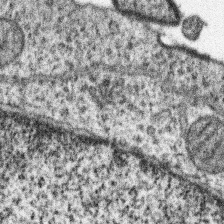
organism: Human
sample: HeLa cells